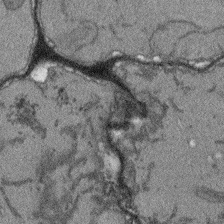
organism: Arabidopsis thaliana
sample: Root tip